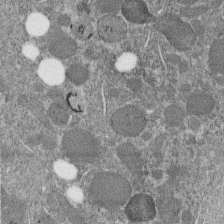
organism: C. elegans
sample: C. elegans embryo early stage